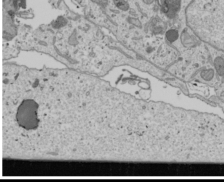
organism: Human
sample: Mitochondria in U2OS cells